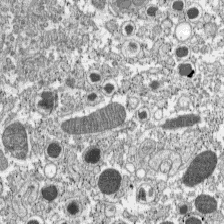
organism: C57BL Mouse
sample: Pancreatic islet